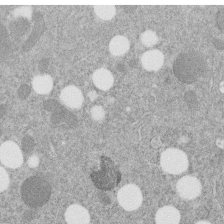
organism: C. elegans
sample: C. elegans embryo early stage